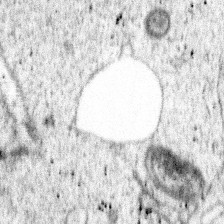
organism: Human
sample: HeLa cells